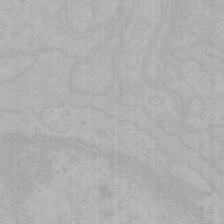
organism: Mouse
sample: Choroid plexus